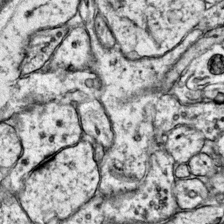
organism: Mouse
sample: Primary visual cortex